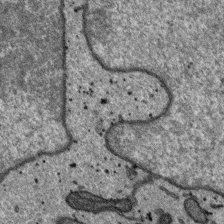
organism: Human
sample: Lung epithelial cells, uninfected (mock) control